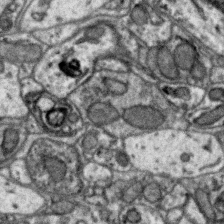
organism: Zebra finch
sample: Brain